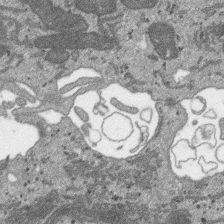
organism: Human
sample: Lung epithelial cells infected with SARS-CoV-2